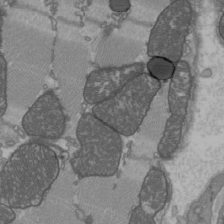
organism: C57BL Mouse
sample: Heart